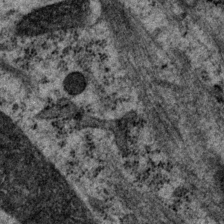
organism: P. pacificus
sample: Pharynx